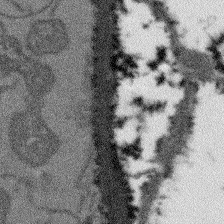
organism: Arabidopsis thaliana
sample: Root tip